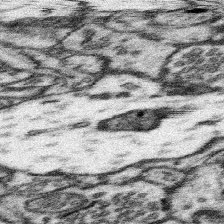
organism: Mouse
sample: Somatosensory cortex neuropil